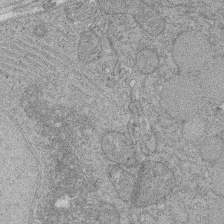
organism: Rat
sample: Salivary granule